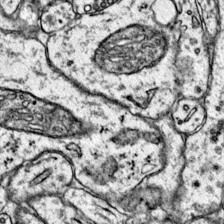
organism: Mouse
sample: Primary visual cortex